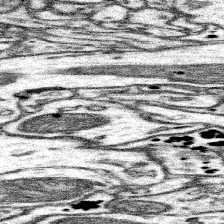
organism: Mouse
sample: Somatosensory cortex neuropil